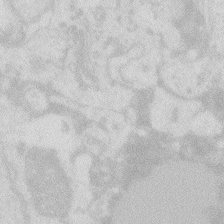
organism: Zebrafish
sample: Macrophage